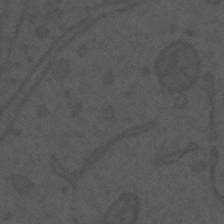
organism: Mouse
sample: Suprachiasmatic nucleus